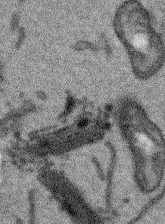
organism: Arabidopsis thaliana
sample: Root tip